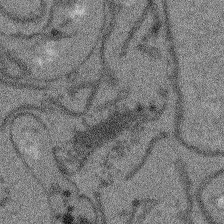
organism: Arabidopsis thaliana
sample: Root tip